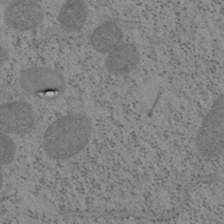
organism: Mouse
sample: OT-I killer T cells with ID8 ovarian cancer cells